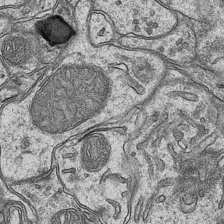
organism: Mouse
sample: CA1 Hippocampus